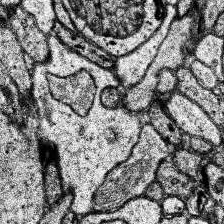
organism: Human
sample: Temporal Lobe